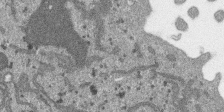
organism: Human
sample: Lung epithelial cells infected with SARS-CoV-2